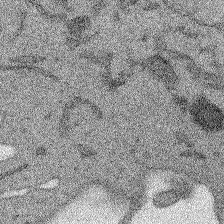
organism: Human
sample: HeLa cells